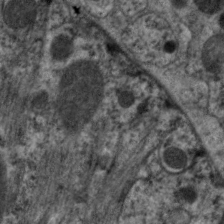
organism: C. elegans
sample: Pharynx